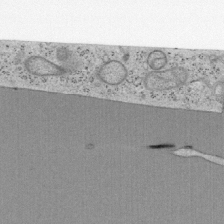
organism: Human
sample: HeLa cells